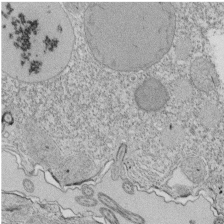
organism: Tetrahymena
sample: Cilia in tetrahymena